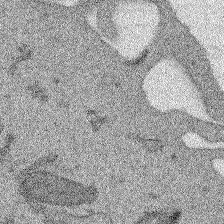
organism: Human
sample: HeLa cells